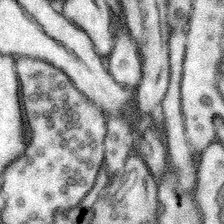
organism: Mouse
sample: Somatosensory cortex neuropil